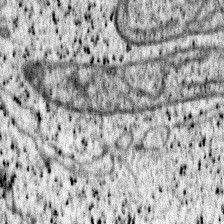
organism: Human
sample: HeLa cells